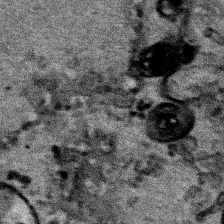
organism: Human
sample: Mitochondria in HCT116 cells